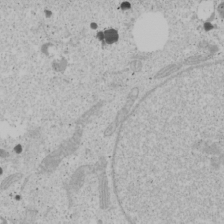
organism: Human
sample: Mitochondria in U2OS cells